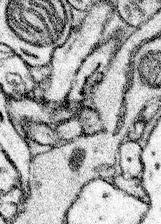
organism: Mouse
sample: Somatosensory cortex neuropil